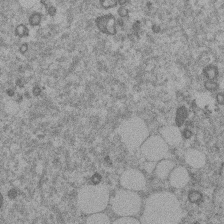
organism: Mouse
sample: Dividing mouse embryo 1 cell stage